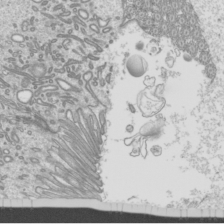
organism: Mouse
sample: Cilia; mouse epididymis